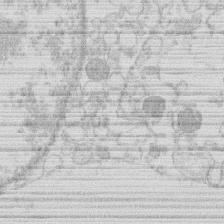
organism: Human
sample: Macrophage cells